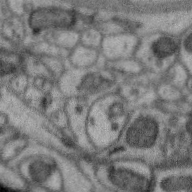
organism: Zebra finch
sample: Brain